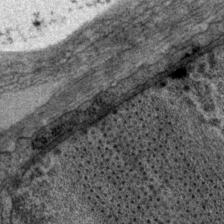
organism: P. pacificus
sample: Pharynx